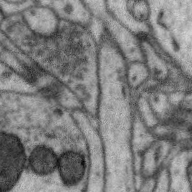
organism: Zebra finch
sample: Brain